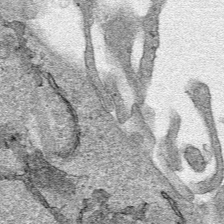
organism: Human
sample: Mitochondria in HCT116 cells